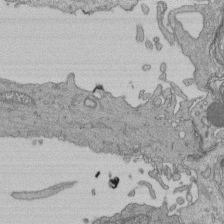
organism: Human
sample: Retinal organoid Rod and Cone cells